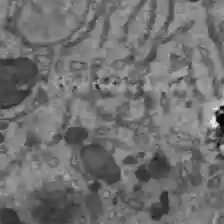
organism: C57BL Mouse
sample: Liver